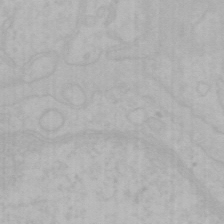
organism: Mouse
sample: Choroid plexus